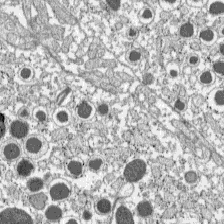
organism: C57BL Mouse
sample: Pancreatic islet